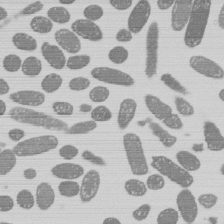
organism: E. coli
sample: Bacterial nucleoid